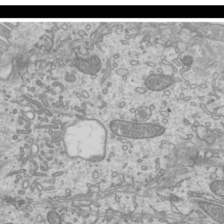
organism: Mouse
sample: Cilia; mouse epididymis